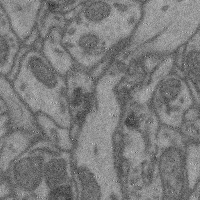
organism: Mouse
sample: Cerebral cortex